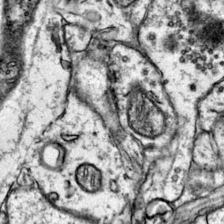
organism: Mouse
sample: Primary visual cortex